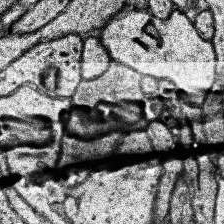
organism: Human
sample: Temporal Lobe